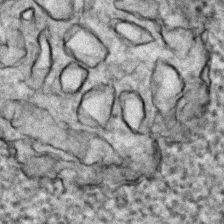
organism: Zebrafish